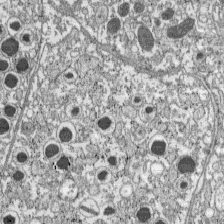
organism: C57BL Mouse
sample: Pancreatic islet